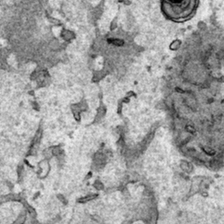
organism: Human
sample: Mitochondria in HCT116 cells